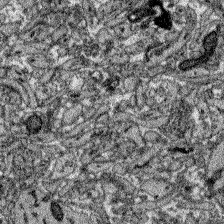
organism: Zebrafish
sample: Larval olfactory bulb